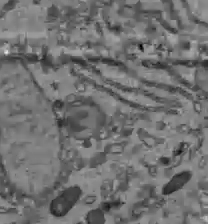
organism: C57BL Mouse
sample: Liver